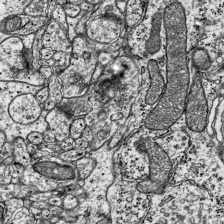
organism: Mouse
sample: Visual Cortex